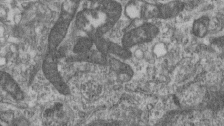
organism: Mouse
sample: Centriole in ependymal cells